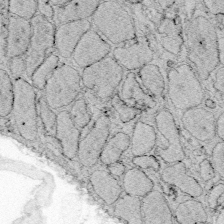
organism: Zebrafish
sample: Whole-Brain